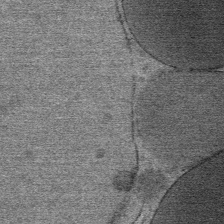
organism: Mouse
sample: Mouse Salivary gland